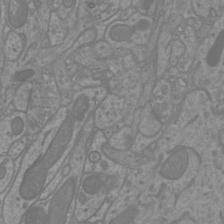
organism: Mouse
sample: Cortical neurons